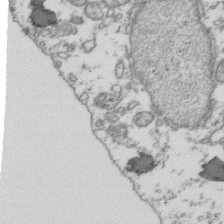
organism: Human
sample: Activated Jurkat CD4+ T cells